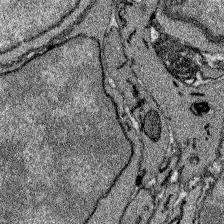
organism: Zebrafish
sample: Larval olfactory bulb